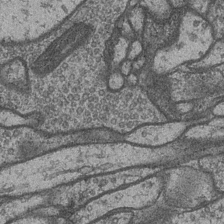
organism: Drosophila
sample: Optic medulla